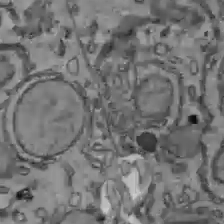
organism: C57BL Mouse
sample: Liver